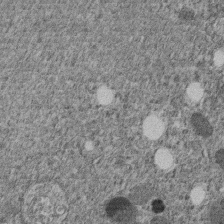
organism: C. elegans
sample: C. elegans embryo early stage